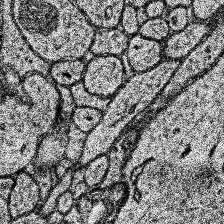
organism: Human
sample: Temporal Lobe